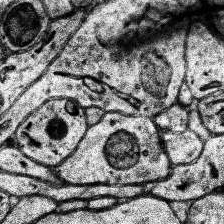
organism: Human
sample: Temporal Lobe